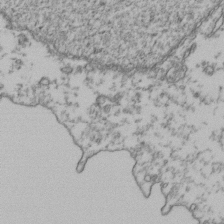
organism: Human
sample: Activated Jurkat CD4+ T cells